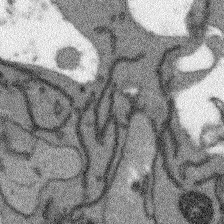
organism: Arabidopsis thaliana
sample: Root tip